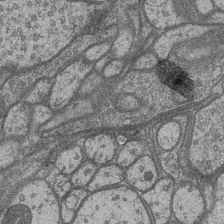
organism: Drosophila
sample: Optic medulla